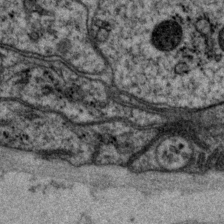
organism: P. pacificus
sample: Pharynx